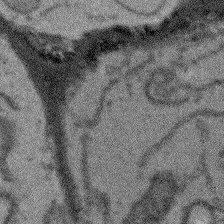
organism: Arabidopsis thaliana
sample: Root tip